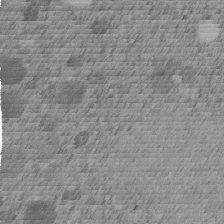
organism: C. elegans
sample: C. elegans embryo early stage